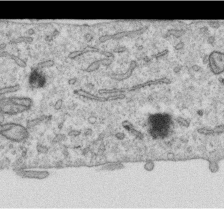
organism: Human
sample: Centriole in RPE cells